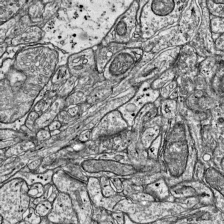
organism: Mouse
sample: Visual Cortex